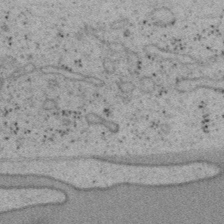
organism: Human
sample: HeLa cells